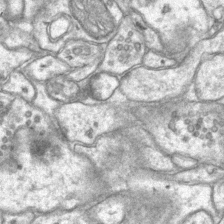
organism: Mouse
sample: CA1 Hippocampus